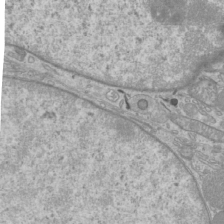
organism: Mouse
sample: Cilia; mouse epididymis